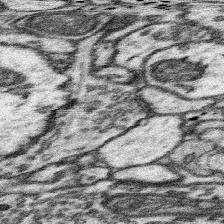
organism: Mouse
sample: Somatosensory cortex neuropil